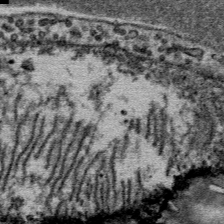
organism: Mouse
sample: Mouse Salivary gland